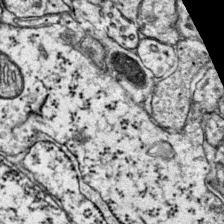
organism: Mouse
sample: Primary visual cortex